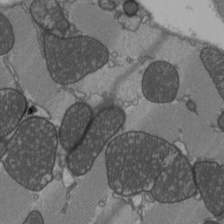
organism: C57BL Mouse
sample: Heart